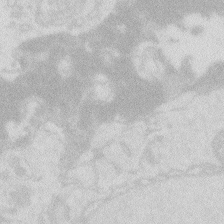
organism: Zebrafish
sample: Macrophage